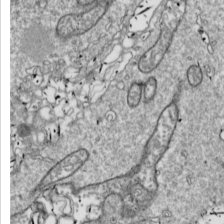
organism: Drosophila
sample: Cell division; meiosis; drosophila spermatocytes